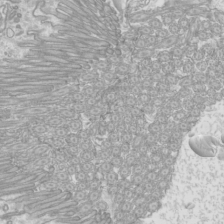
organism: Mouse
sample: Cilia; mouse epididymis